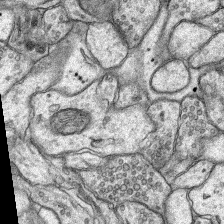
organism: Rat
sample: Hippocampus